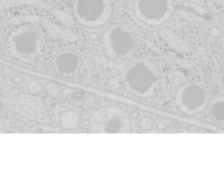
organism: Mouse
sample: Pancreas